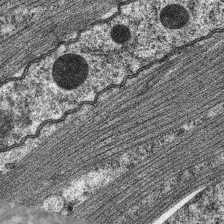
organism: C. elegans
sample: Pharynx